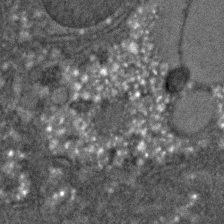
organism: C. elegans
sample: C. elegans embryo